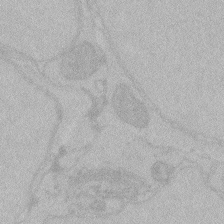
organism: Zebrafish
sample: Macrophage infected with Toxoplasma gondii